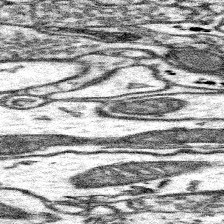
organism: Mouse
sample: Somatosensory cortex neuropil